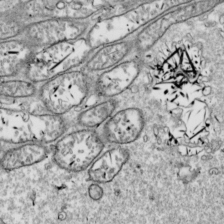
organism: Drosophila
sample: Cell division; meiosis; drosophila spermatocytes